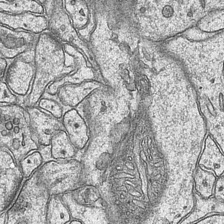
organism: Mouse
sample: CA1 Hippocampus